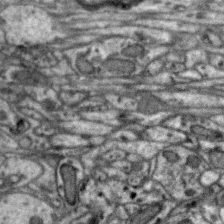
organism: Zebra finch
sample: Brain